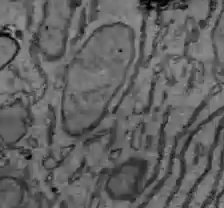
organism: C57BL Mouse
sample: Liver